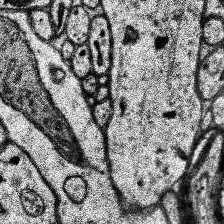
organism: Human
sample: Temporal Lobe